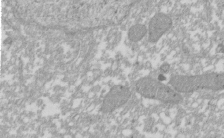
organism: Xenopus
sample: Cilia; centrioles in frog embryo cells